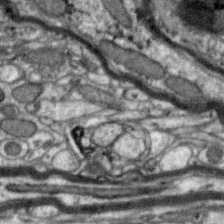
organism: Zebra finch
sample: Brain